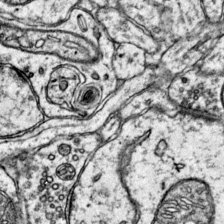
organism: Mouse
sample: Primary visual cortex